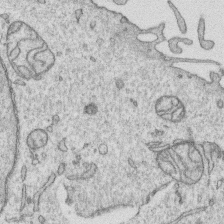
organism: Human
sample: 1205lu cells